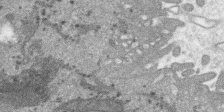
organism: Human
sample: Lung epithelial cells infected with SARS-CoV-2